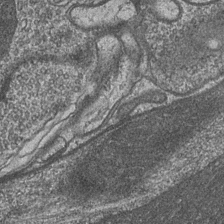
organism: Drosophila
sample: Optic medulla